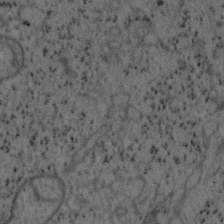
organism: Human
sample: HeLa cells